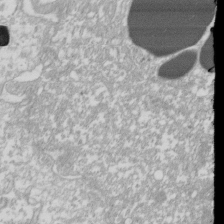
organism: Xenopus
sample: Cilia; centrioles in frog embryo cells